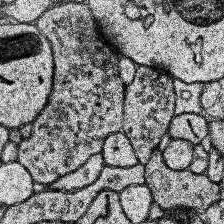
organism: Human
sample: Temporal Lobe